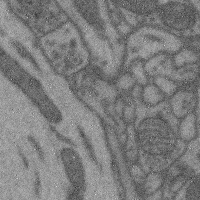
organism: Mouse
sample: Cerebral cortex